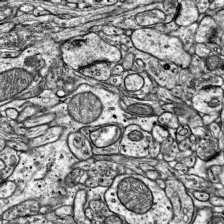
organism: Mouse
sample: Visual Cortex